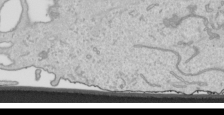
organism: Human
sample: Mitochondria in HCT116 cells